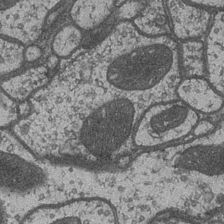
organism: Drosophila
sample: Optic medulla